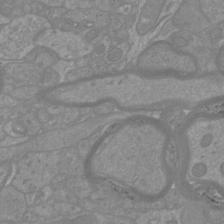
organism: Mouse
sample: Cortical neurons